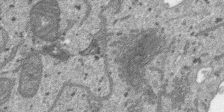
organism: Human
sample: Lung epithelial cells infected with SARS-CoV-2